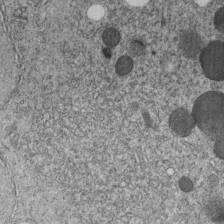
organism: C. elegans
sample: C. elegans embryo early stage